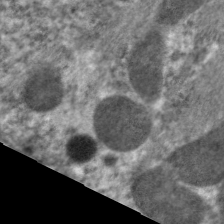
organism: C. elegans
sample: Pharynx